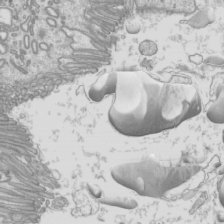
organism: Mouse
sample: Cilia; mouse epididymis